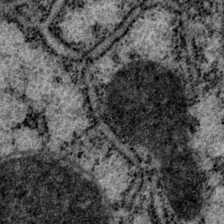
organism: P. pacificus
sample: Pharynx